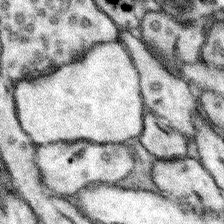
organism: Mouse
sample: Somatosensory cortex neuropil